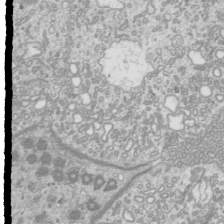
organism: Mouse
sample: Cilia; mouse epididymis